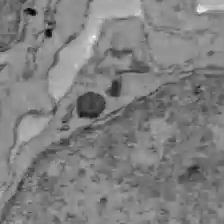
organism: C57BL Mouse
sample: Liver